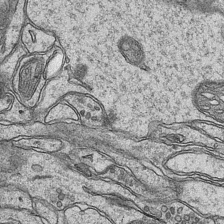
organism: Mouse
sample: CA1 Hippocampus